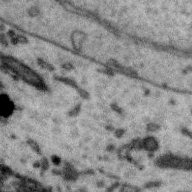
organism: Zebra finch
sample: Brain